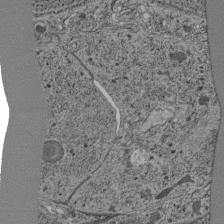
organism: C. elegans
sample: C. elegans pharynx